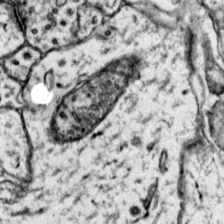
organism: Mouse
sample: Primary visual cortex